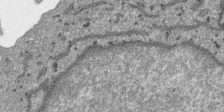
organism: Human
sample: Lung epithelial cells infected with SARS-CoV-2